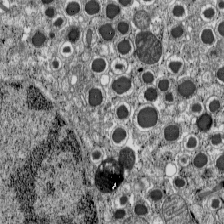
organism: C57BL Mouse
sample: Pancreatic islet